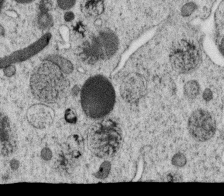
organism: C. elegans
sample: C. elegans oocyte; sperm cells